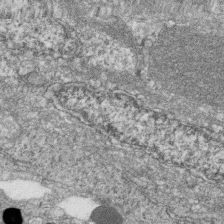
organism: Zebrafish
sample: Cilia; retinal pigment epithelium